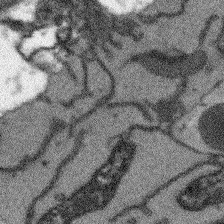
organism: Arabidopsis thaliana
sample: Root tip